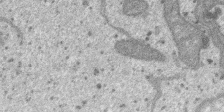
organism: Human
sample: Lung epithelial cells infected with SARS-CoV-2